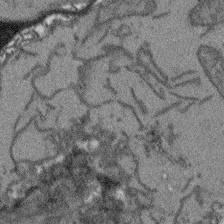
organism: Arabidopsis thaliana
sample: Root tip